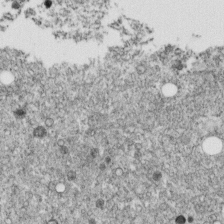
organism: C. elegans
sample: C. elegans embryo early stage